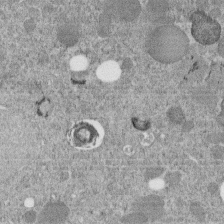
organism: C. elegans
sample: C. elegans embryo early stage